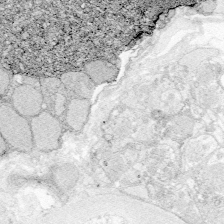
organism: Zebrafish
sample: Whole-Brain